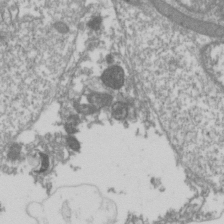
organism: Drosophila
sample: Cell division; meiosis; drosophila spermatocytes